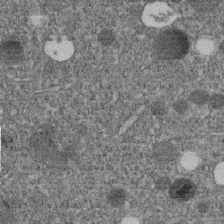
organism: C. elegans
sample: C. elegans embryo early stage